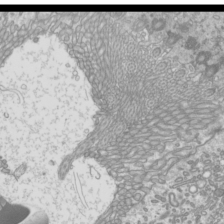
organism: Mouse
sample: Cilia; mouse epididymis